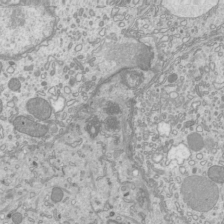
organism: Mouse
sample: Cilia; mouse epididymis